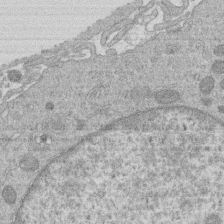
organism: Human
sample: Macrophage cells